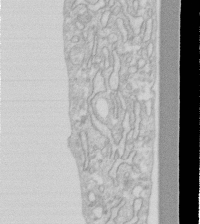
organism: Human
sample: Fibroblast cells